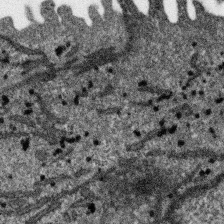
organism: Human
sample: Lung epithelial cells infected with SARS-CoV-2